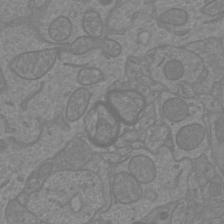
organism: Mouse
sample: Cortical neurons